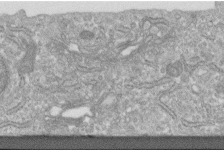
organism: Human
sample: Centriole in fibroblast cells